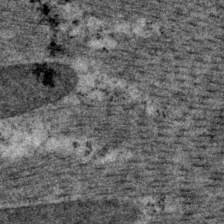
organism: P. pacificus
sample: Pharynx